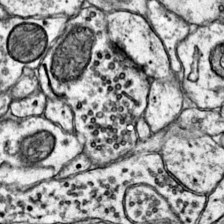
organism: Mouse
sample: Primary visual cortex